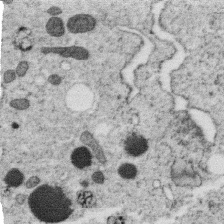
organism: C. elegans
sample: C. elegans oocyte; sperm cells